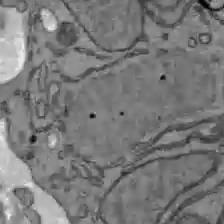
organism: C57BL Mouse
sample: Liver